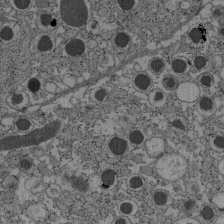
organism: C57BL Mouse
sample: Pancreatic islet